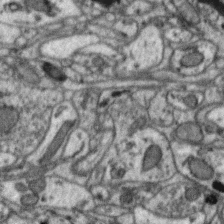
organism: Zebra finch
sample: Brain